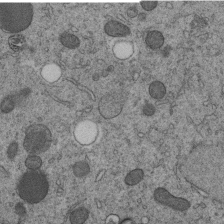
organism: C. elegans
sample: C. elegans embryo early stage